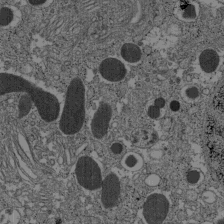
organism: C57BL Mouse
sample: Pancreatic islet